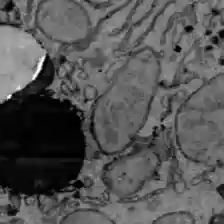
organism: C57BL Mouse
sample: Liver